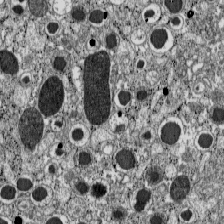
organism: C57BL Mouse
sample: Pancreatic islet